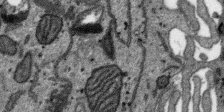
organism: Human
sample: Lung epithelial cells, uninfected (mock) control